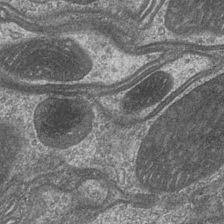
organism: Drosophila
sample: Optic medulla